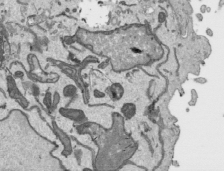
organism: Human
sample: Mitochondria in HCT116 cells